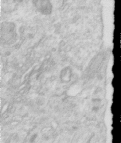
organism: Human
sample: Centriole in RPE cells